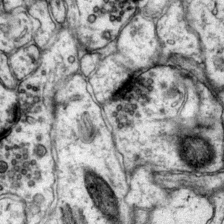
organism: Mouse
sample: Primary visual cortex